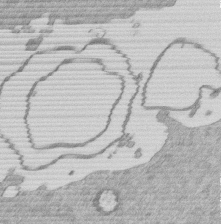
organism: Mouse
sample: Dividing mouse embryo 1 cell stage